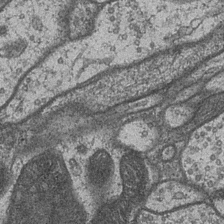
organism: Drosophila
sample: Optic medulla